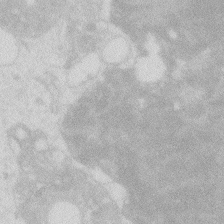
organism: Zebrafish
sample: Macrophage